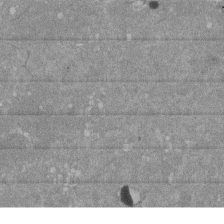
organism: Mouse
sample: ED-1 cell nuclei; centrioles